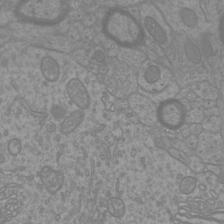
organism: Mouse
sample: Cortical neurons